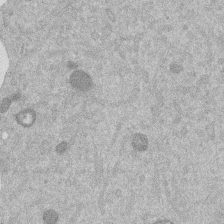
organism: Mouse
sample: Dividing mouse embryo 1 cell stage